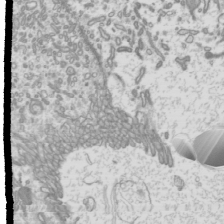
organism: Mouse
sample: Cilia; mouse epididymis